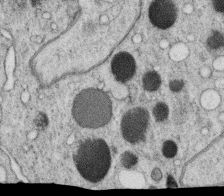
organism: C. elegans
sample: C. elegans oocyte; sperm cells